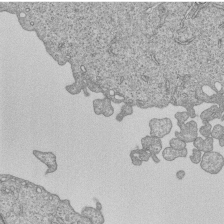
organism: Human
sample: MDA-MB-231 cells